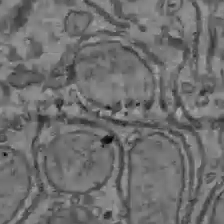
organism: C57BL Mouse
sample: Liver